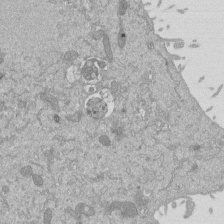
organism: Mouse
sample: ED-1 cell nuclei; centrioles